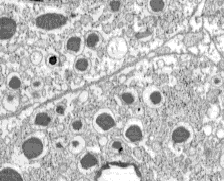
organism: C57BL Mouse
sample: Pancreatic islet